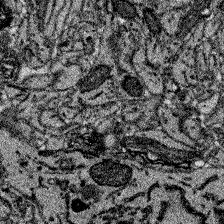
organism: Zebrafish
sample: Larval olfactory bulb